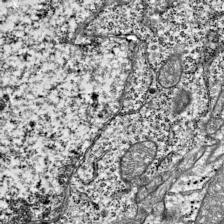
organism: Mouse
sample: Visual Cortex